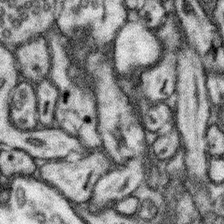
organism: Mouse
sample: Somatosensory cortex neuropil